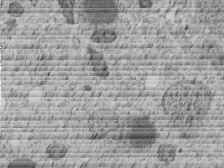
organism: C. elegans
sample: C. elegans embryo early stage